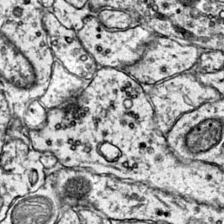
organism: Mouse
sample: Primary visual cortex